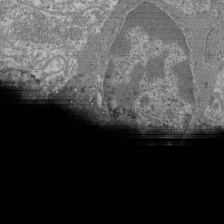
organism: Mouse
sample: Glomerulus